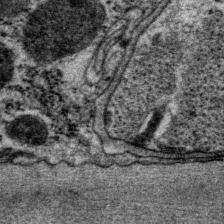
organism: P. pacificus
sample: Pharynx